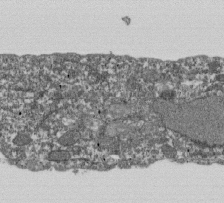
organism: Dictyostelium discoideum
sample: Dictyostelium multivesicular bodies